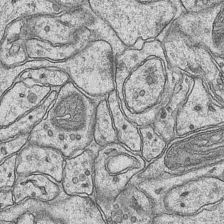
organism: Mouse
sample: CA1 Hippocampus